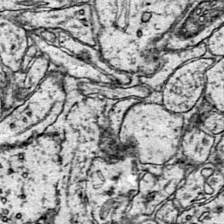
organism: Mouse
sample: Primary visual cortex